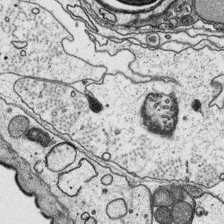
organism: Platynereis dumerilii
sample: Parapodia